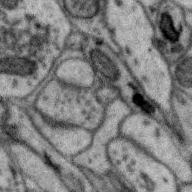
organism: Zebra finch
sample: Brain